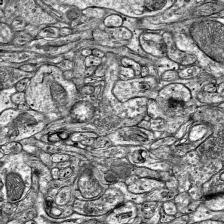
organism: Mouse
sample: Visual Cortex